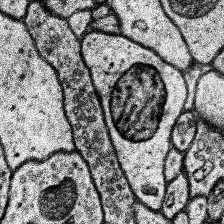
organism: Human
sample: Temporal Lobe